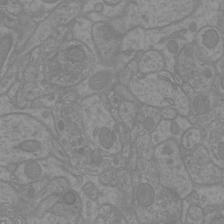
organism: Mouse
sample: Cortical neurons